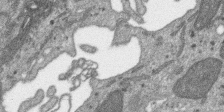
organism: Human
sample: Lung epithelial cells infected with SARS-CoV-2